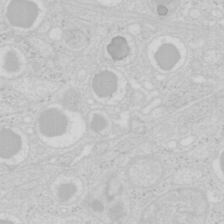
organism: Mouse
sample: Pancreas